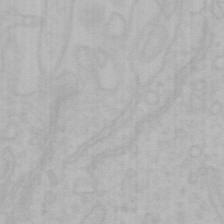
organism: Mouse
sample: Choroid plexus